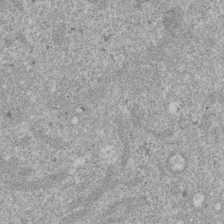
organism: Mouse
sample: Dividing mouse embryo 1 cell stage